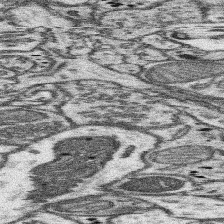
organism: Mouse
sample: Somatosensory cortex neuropil